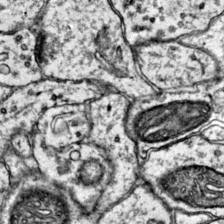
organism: Mouse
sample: Primary visual cortex